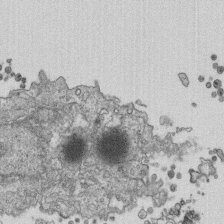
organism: Human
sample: HeLa cell HIV synapse